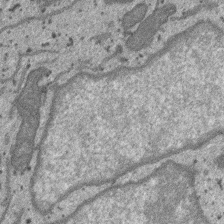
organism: Human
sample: Lung epithelial cells infected with SARS-CoV-2